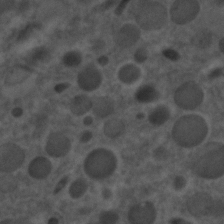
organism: C. elegans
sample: C. elegans embryo